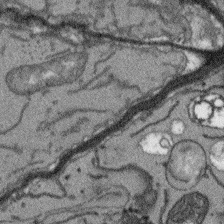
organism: Arabidopsis thaliana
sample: Root tip